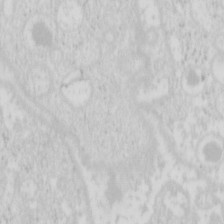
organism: Mouse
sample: Pancreas